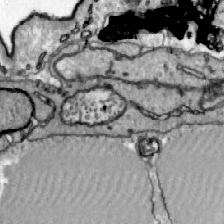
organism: Zebrafish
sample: Actinotrichia fibers